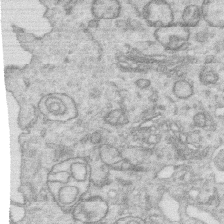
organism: Human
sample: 1205lu cells